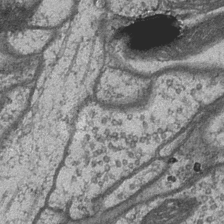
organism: Drosophila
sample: Optic medulla